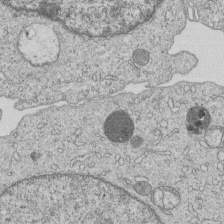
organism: Human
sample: MDA-MB-231 cells